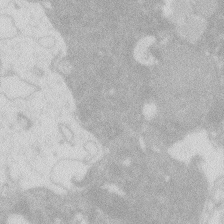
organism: Zebrafish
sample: Macrophage